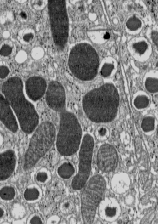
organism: C57BL Mouse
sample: Pancreatic islet